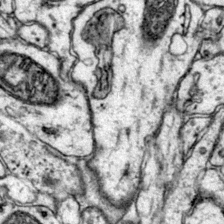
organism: Mouse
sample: Primary visual cortex